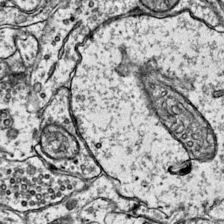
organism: Mouse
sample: Primary visual cortex